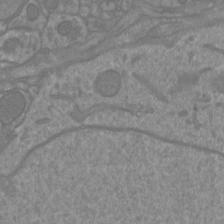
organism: Mouse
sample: Cortical neurons